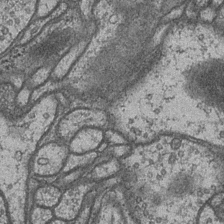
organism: Drosophila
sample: Optic medulla